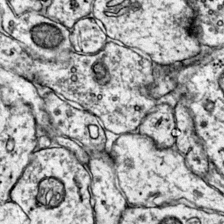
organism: Mouse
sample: Primary visual cortex